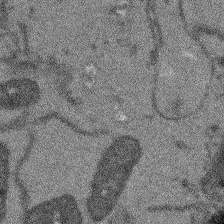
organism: Arabidopsis thaliana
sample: Root tip